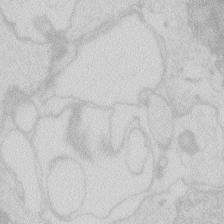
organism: Zebrafish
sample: Macrophage